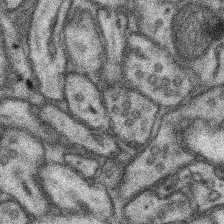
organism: Mouse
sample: Somatosensory cortex neuropil